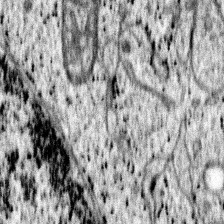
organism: Human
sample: HeLa cells